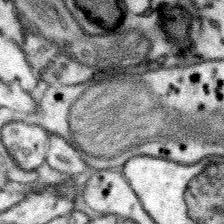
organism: Mouse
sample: Somatosensory cortex neuropil